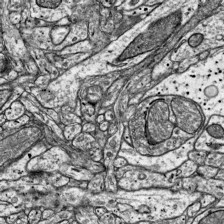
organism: Mouse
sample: Visual Cortex